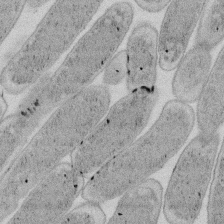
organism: E. coli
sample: Bacterial nucleoid